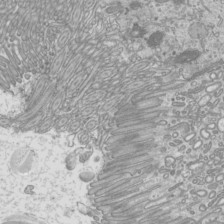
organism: Mouse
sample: Cilia; mouse epididymis